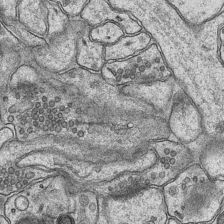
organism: Mouse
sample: CA1 Hippocampus